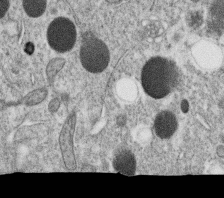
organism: C. elegans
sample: C. elegans oocyte; sperm cells